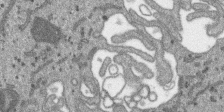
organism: Human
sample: Lung epithelial cells infected with SARS-CoV-2